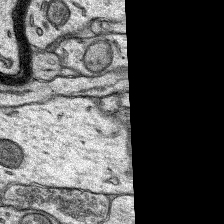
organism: Rat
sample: Hippocampus